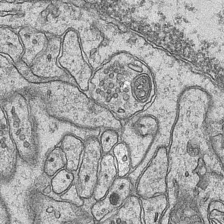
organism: Mouse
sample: CA1 Hippocampus